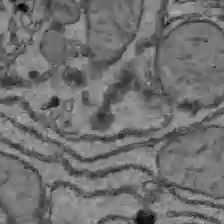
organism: C57BL Mouse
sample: Liver